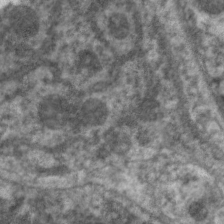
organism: C. elegans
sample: Pharynx